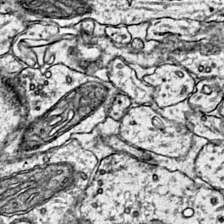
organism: Mouse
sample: Primary visual cortex